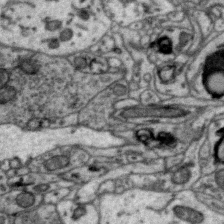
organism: Zebra finch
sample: Brain